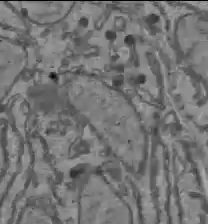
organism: C57BL Mouse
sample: Liver